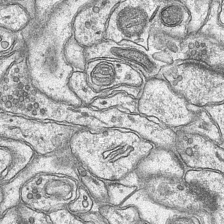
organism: Mouse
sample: CA1 Hippocampus